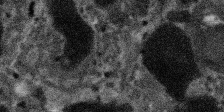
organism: Human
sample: Lung epithelial cells infected with SARS-CoV-2